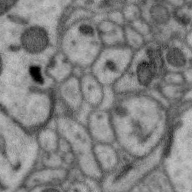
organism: Zebra finch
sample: Brain